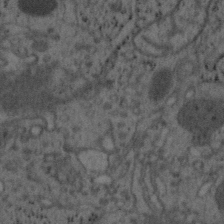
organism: Human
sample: HeLa cells